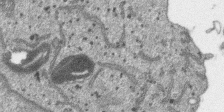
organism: Human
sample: Lung epithelial cells infected with SARS-CoV-2